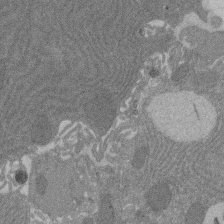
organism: Rat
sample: Salivary granule